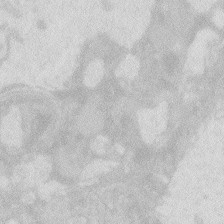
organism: Zebrafish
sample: Macrophage